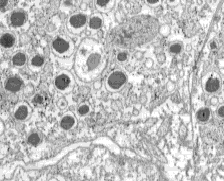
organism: C57BL Mouse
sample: Pancreatic islet